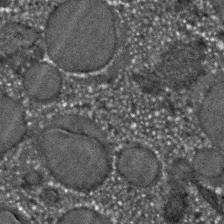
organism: C. elegans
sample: C. elegans embryo